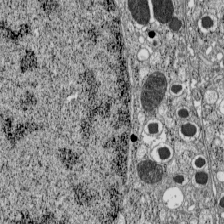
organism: C57BL Mouse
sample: Pancreatic islet